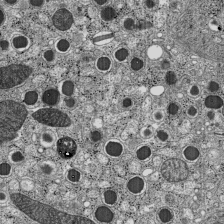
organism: C57BL Mouse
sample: Pancreatic islet